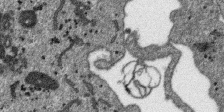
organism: Human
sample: Lung epithelial cells infected with SARS-CoV-2